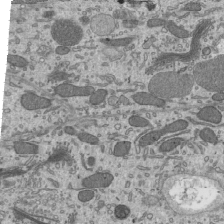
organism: Mouse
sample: Mouse epididymis efferent ductule cilia